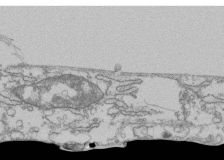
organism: Human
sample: Fibroblast cells